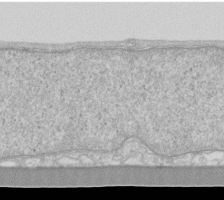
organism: Human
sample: Fibroblast cells